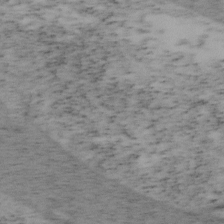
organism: Mouse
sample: OT-I killer T cells with ID8 ovarian cancer cells